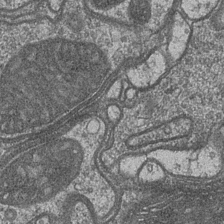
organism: Drosophila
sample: Optic medulla